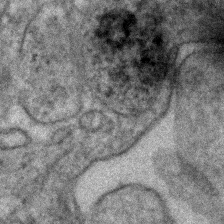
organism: Human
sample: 1205lu cells